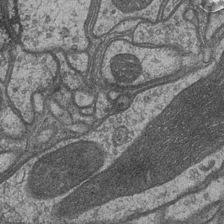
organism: Drosophila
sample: Optic medulla